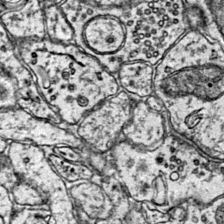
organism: Mouse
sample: Primary visual cortex